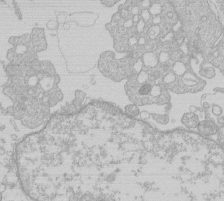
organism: Human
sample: Macrophage cells